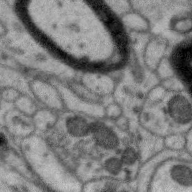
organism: Zebra finch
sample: Brain